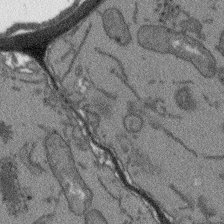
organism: Arabidopsis thaliana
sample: Root tip